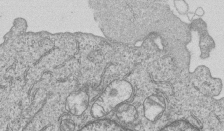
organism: Human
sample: MDA-MB-231 cells